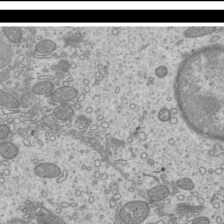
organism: Mouse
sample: Cilia; mouse epididymis